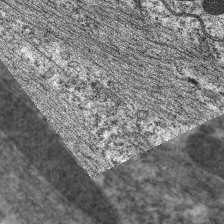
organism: C. elegans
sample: Pharynx